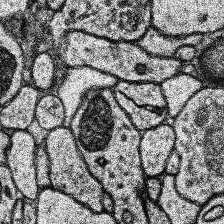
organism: Human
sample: Temporal Lobe